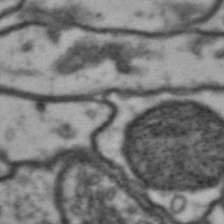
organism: Drosophila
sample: Brain